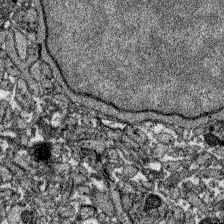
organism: Zebrafish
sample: Larval olfactory bulb